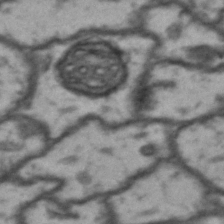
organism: Drosophila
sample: Brain